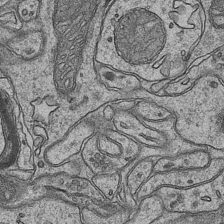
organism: Mouse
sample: CA1 Hippocampus